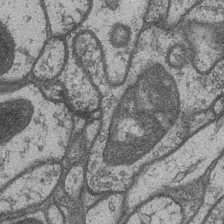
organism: Drosophila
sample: Optic medulla